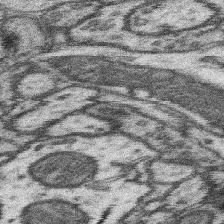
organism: Mouse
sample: Somatosensory cortex neuropil